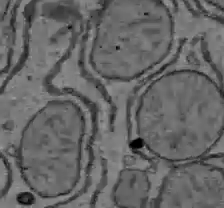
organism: C57BL Mouse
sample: Liver